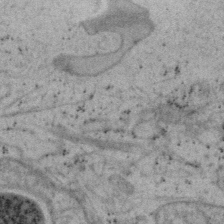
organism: Human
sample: HeLa cells